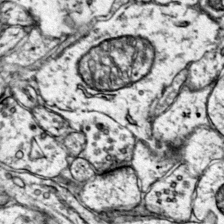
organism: Mouse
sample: Primary visual cortex